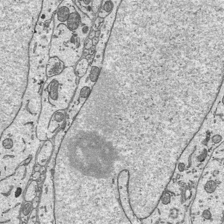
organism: Mouse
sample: Suprachiasmatic nucleus